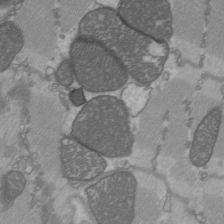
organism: C57BL Mouse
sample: Heart